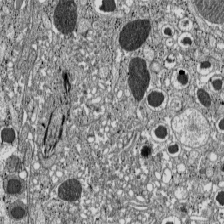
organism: C57BL Mouse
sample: Pancreatic islet